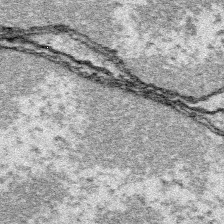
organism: Platynereis dumerilii